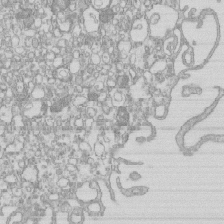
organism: Mouse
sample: Macrophages